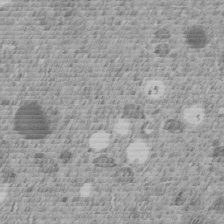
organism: C. elegans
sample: C. elegans embryo early stage